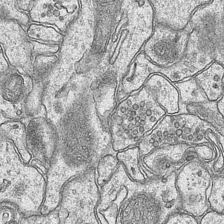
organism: Mouse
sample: CA1 Hippocampus